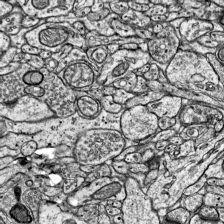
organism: Mouse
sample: Visual Cortex